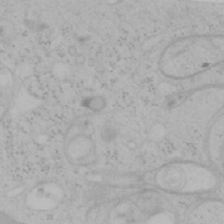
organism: Mouse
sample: OT-I killer T cells with ID8 ovarian cancer cells